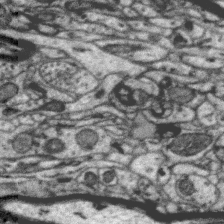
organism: Zebra finch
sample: Brain